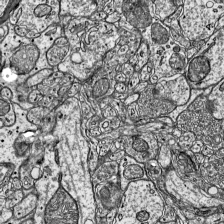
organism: Mouse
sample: Visual Cortex